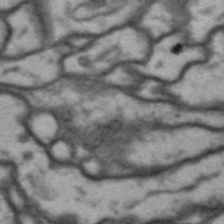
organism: Drosophila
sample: Brain